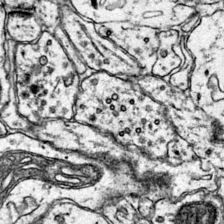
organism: Mouse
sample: Primary visual cortex